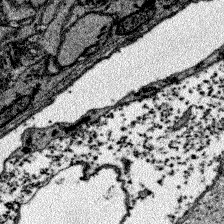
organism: Zebrafish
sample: Larval olfactory bulb